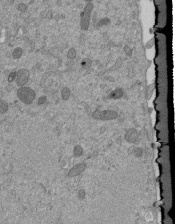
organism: Mouse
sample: ED-1 cell nuclei; centrioles